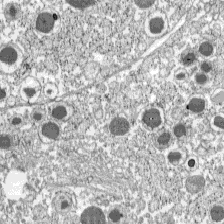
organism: C57BL Mouse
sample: Pancreatic islet